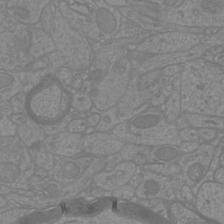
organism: Mouse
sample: Cortical neurons